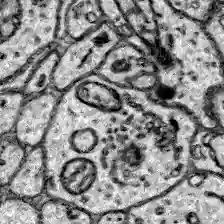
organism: Zebrafish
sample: Brain